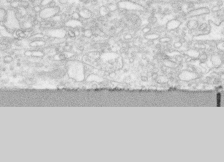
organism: Human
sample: CRL-1474